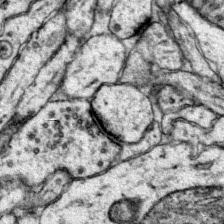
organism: Mouse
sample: Primary visual cortex